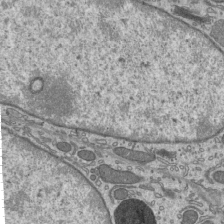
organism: Mouse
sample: Mouse epididymis efferent ductule cilia